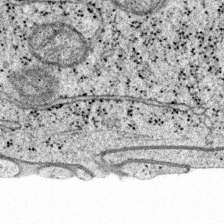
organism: Human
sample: HeLa cells